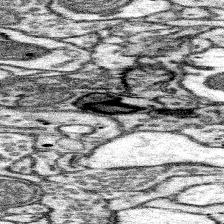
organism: Mouse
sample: Somatosensory cortex neuropil